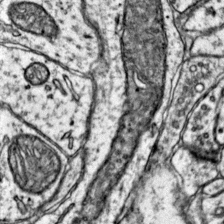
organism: Mouse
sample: Primary visual cortex